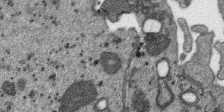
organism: Human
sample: Lung epithelial cells infected with SARS-CoV-2